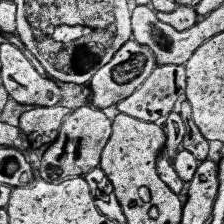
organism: Human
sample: Temporal Lobe